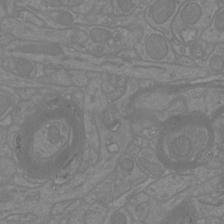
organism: Mouse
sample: Cortical neurons